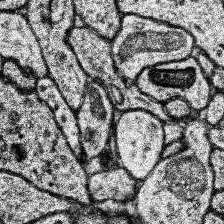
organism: Human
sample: Temporal Lobe